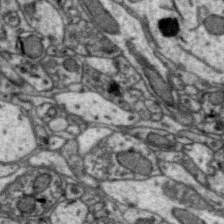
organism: Zebra finch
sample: Brain